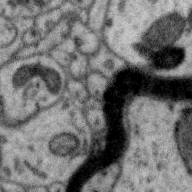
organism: Zebra finch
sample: Brain